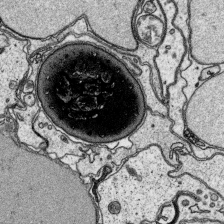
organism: Platynereis dumerilii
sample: Parapodia